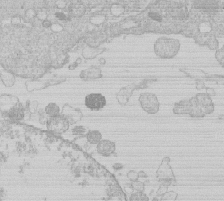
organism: Human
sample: Macrophage cells